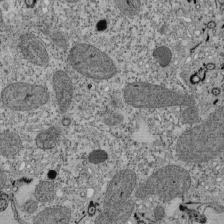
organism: Tetrahymena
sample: Cilia in tetrahymena